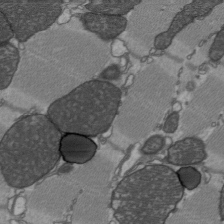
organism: C57BL Mouse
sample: Heart